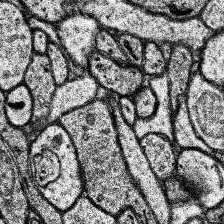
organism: Human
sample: Temporal Lobe